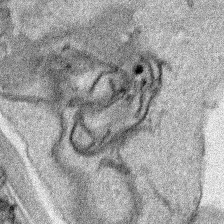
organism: Human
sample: Mitochondria in HCT116 cells